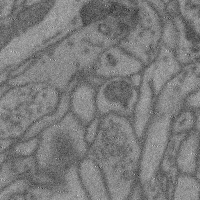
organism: Mouse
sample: Cerebral cortex